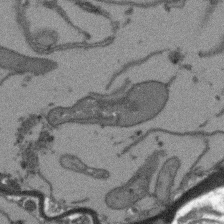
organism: Arabidopsis thaliana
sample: Root tip